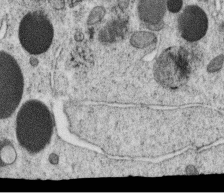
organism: C. elegans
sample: C. elegans oocyte; sperm cells